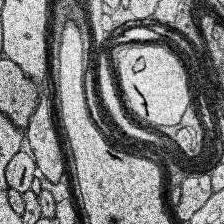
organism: Human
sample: Temporal Lobe